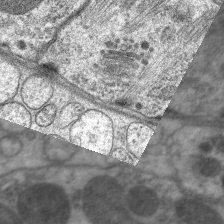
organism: C. elegans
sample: Pharynx